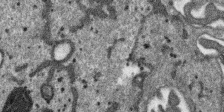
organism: Human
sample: Lung epithelial cells infected with SARS-CoV-2